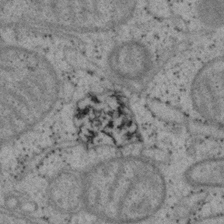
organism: Human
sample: HeLa cells